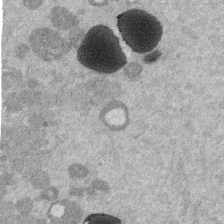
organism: Mouse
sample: Dividing mouse embryo 1 cell stage